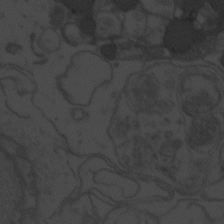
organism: Zebrafish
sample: Macrophage infected with Toxoplasma gondii